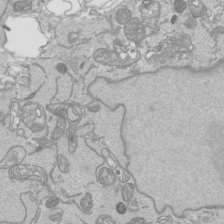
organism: Human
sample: Mitochondria in HCT116 cells